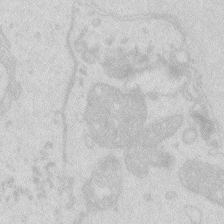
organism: Zebrafish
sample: Macrophage